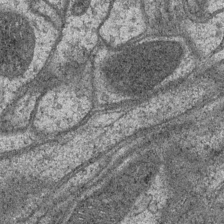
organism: Drosophila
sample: Optic medulla